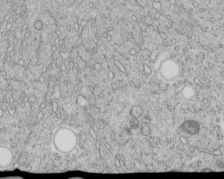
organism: C. elegans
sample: C. elegans embryo early stage